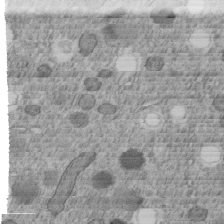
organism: C. elegans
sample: C. elegans embryo early stage